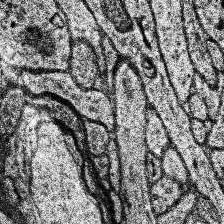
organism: Human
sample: Temporal Lobe